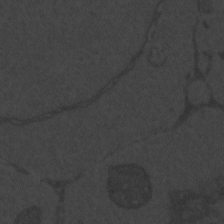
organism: Zebrafish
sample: Macrophage infected with Toxoplasma gondii